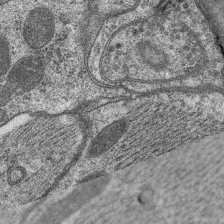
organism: C. elegans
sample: Pharynx